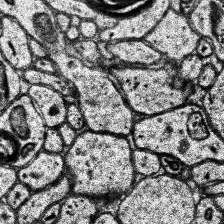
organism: Human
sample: Temporal Lobe